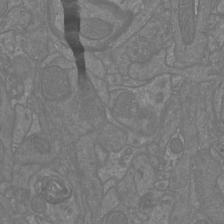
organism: Mouse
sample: Cortical neurons